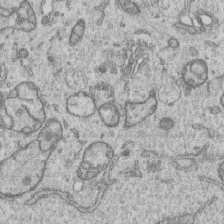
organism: Human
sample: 1205lu cells